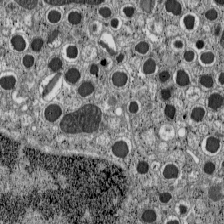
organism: C57BL Mouse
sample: Pancreatic islet